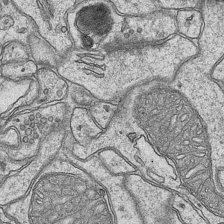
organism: Mouse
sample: CA1 Hippocampus